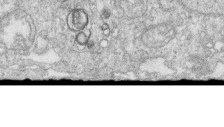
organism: Human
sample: HeLa cell HIV synapse